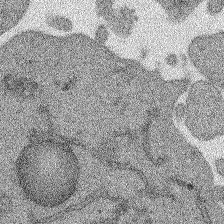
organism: Human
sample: HeLa cells